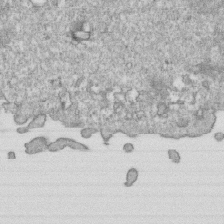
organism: Mouse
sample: Activated OT-1 CD8+ T cells